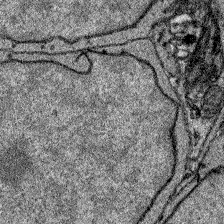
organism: Zebrafish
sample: Larval olfactory bulb